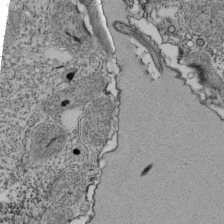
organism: Tetrahymena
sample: Cilia in tetrahymena